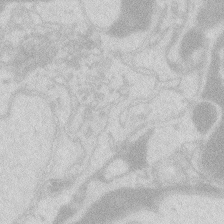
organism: Zebrafish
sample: Macrophage